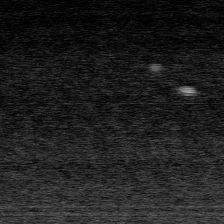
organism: Human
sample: HeLa cells